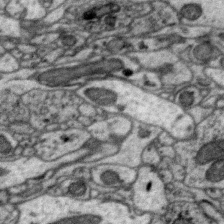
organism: Zebra finch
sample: Brain